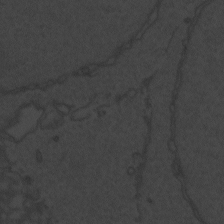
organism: Zebrafish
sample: Macrophage infected with Toxoplasma gondii